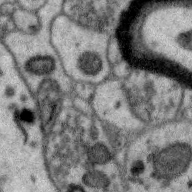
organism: Zebra finch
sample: Brain